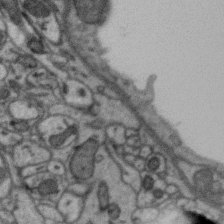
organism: Zebra finch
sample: Brain